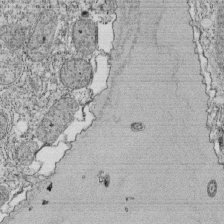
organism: Tetrahymena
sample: Cilia in tetrahymena